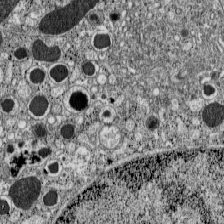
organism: C57BL Mouse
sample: Pancreatic islet